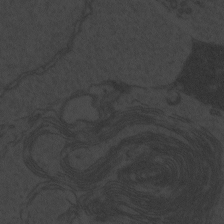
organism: Zebrafish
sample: Macrophage infected with Toxoplasma gondii